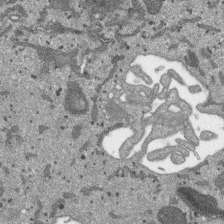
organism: Human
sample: Lung epithelial cells infected with SARS-CoV-2